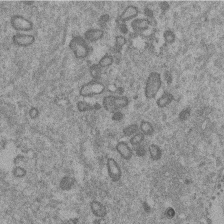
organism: Mouse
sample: Dividing mouse embryo 1 cell stage